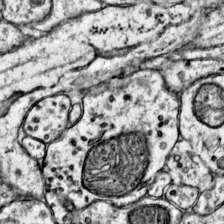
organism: Mouse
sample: Primary visual cortex